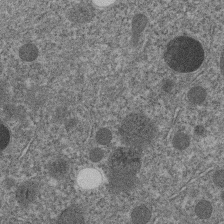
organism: C. elegans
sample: C. elegans embryo early stage